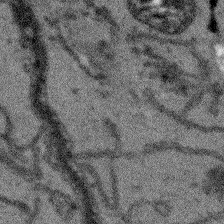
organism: Arabidopsis thaliana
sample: Root tip